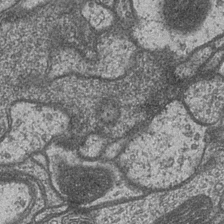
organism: Drosophila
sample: Optic medulla